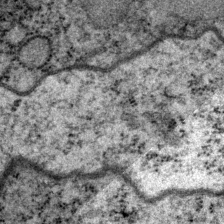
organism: P. pacificus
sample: Pharynx